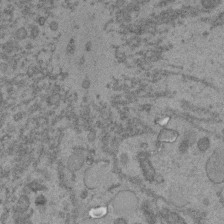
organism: C. elegans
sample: C. elegans embryo early stage